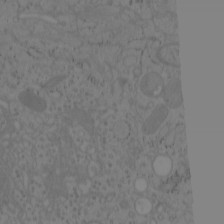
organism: Human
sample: HeLa cells